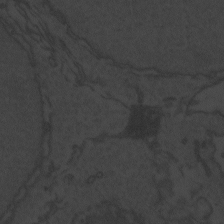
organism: Zebrafish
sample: Macrophage infected with Toxoplasma gondii